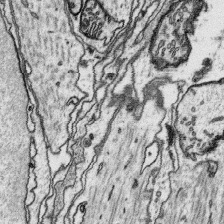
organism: Platynereis dumerilii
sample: Parapodia